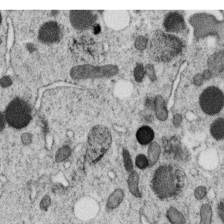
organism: C. elegans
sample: C. elegans oocyte; sperm cells